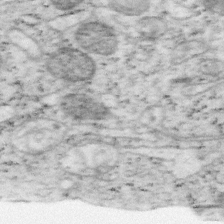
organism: Mouse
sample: OT-I killer T cells with ID8 ovarian cancer cells